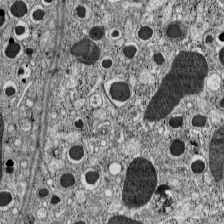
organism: C57BL Mouse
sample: Pancreatic islet